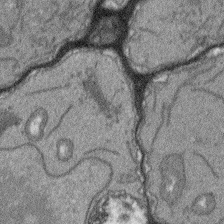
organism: Arabidopsis thaliana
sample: Root tip